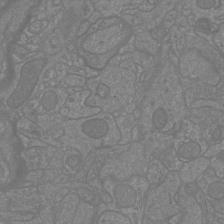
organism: Mouse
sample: Cortical neurons